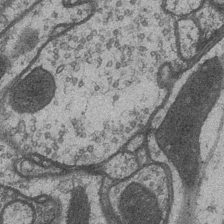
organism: Drosophila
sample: Optic medulla